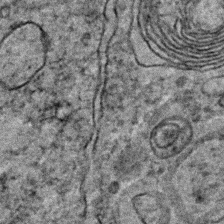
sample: Trachea